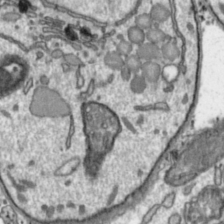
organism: Toxoplasma gondii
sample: Parasites in a vacuole inside a host cell